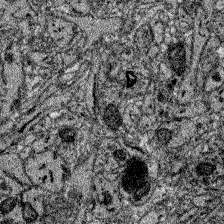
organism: Zebrafish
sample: Larval olfactory bulb